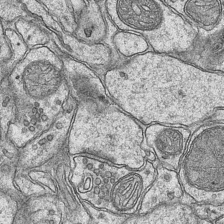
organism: Mouse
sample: CA1 Hippocampus